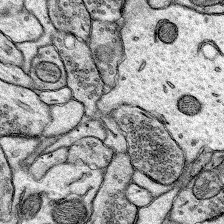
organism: Rat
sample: Hippocampus